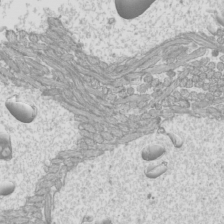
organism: Mouse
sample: Cilia; mouse epididymis